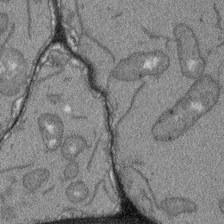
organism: Arabidopsis thaliana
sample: Root tip